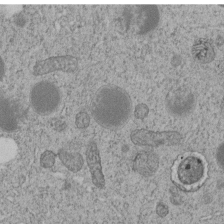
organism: C. elegans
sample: C. elegans embryo early stage